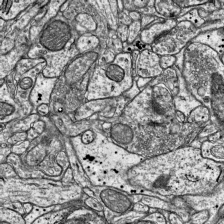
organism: Mouse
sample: Visual Cortex